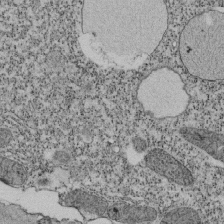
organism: Tetrahymena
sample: Cilia in tetrahymena